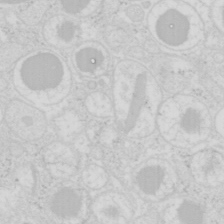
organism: Mouse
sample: Pancreas